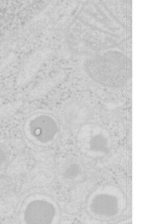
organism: Mouse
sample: Pancreas